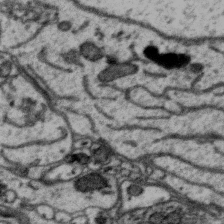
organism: Zebra finch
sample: Brain